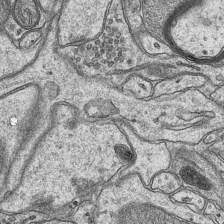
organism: Mouse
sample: CA1 Hippocampus